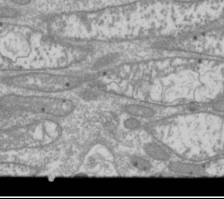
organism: Drosophila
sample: Cell division; meiosis; drosophila spermatocytes